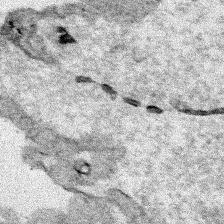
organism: Human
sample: Mitochondria in HCT116 cells